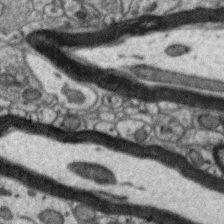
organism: Zebra finch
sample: Brain